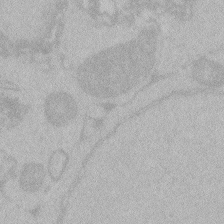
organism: Zebrafish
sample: Macrophage infected with Toxoplasma gondii